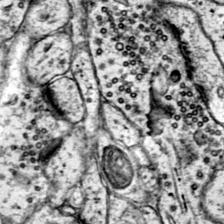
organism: Mouse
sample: Primary visual cortex